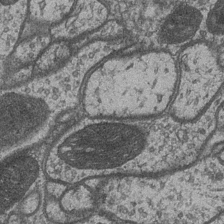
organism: Drosophila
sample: Optic medulla